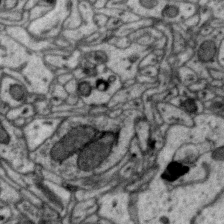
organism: Zebra finch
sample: Brain